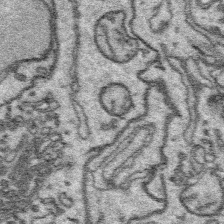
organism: Platynereis dumerilii